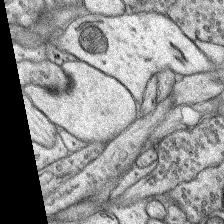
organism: Rat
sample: Hippocampus